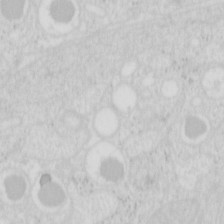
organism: Mouse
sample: Pancreas